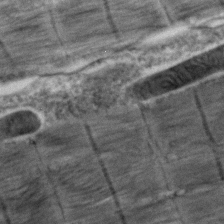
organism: Zebrafish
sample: Zebrafish embryo